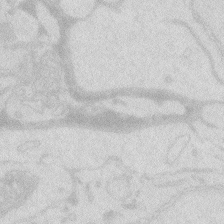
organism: Zebrafish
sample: Macrophage